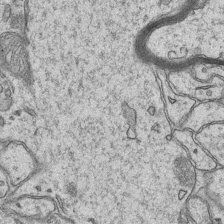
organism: Mouse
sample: CA1 Hippocampus